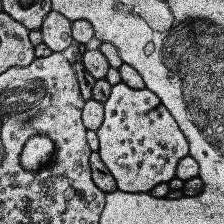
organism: Human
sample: Temporal Lobe